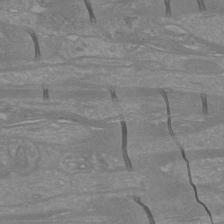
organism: Mouse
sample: Cortical neurons